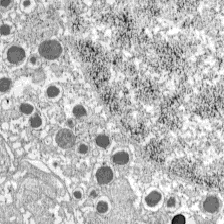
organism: C57BL Mouse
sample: Pancreatic islet